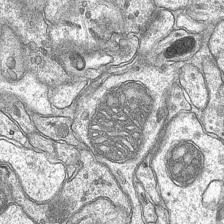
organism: Mouse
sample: CA1 Hippocampus